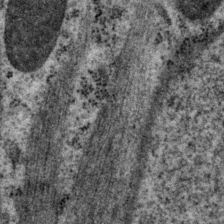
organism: P. pacificus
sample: Pharynx